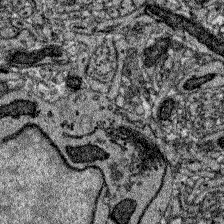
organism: Zebrafish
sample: Larval olfactory bulb